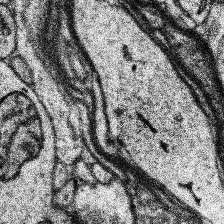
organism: Human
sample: Temporal Lobe